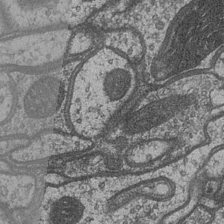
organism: Drosophila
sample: Optic medulla